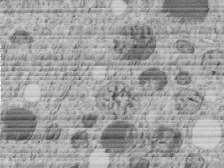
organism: C. elegans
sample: C. elegans embryo early stage